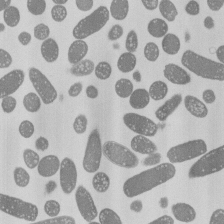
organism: E. coli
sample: Bacterial nucleoid